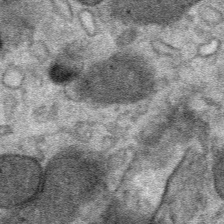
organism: Mouse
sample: Mouse Salivary gland